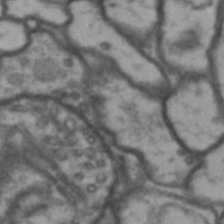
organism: Drosophila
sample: Brain